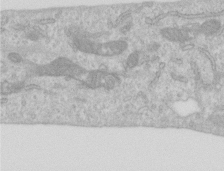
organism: Human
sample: Centriole in RPE cells